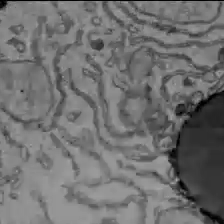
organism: C57BL Mouse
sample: Liver